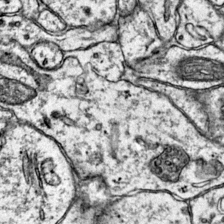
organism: Mouse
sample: Primary visual cortex